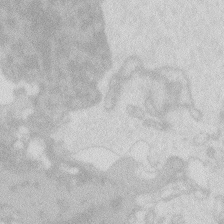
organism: Zebrafish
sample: Macrophage